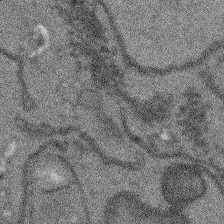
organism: Arabidopsis thaliana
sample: Root tip